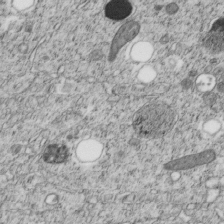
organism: C. elegans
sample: C. elegans embryo early stage